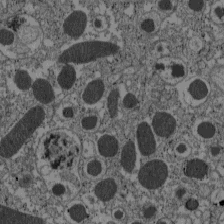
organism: C57BL Mouse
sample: Pancreatic islet